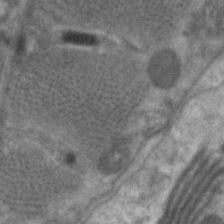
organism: C. elegans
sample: Pharynx